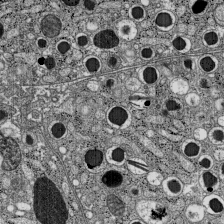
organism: C57BL Mouse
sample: Pancreatic islet